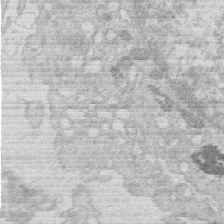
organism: Human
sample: Macrophage cells